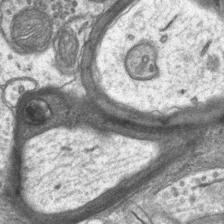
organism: Mouse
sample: CA1 Hippocampus